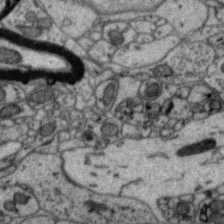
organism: Zebra finch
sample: Brain